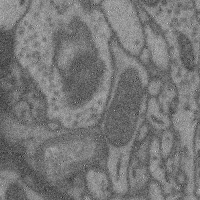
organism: Mouse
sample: Cerebral cortex